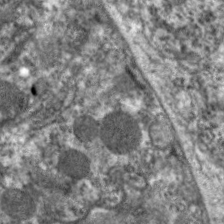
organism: C. elegans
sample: Pharynx